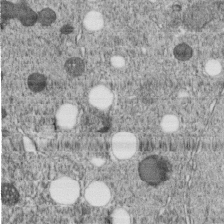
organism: C. elegans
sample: C. elegans embryo early stage